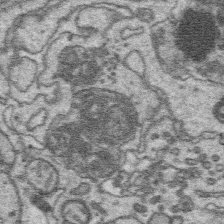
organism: Platynereis dumerilii